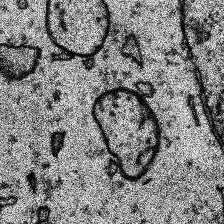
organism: Human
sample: Temporal Lobe